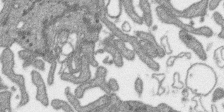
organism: Human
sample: Lung epithelial cells infected with SARS-CoV-2